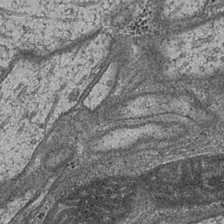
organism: Drosophila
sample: Optic medulla